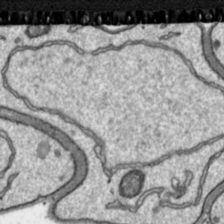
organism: Toxoplasma gondii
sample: Parasites in a vacuole inside a host cell